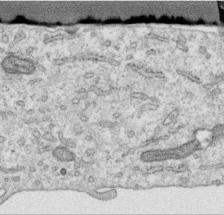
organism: Human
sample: Centriole in RPE cells